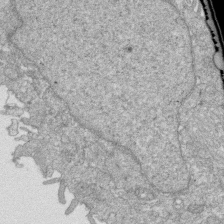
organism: Human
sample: HeLa cell HIV synapse